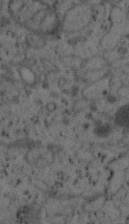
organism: Human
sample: HeLa cells